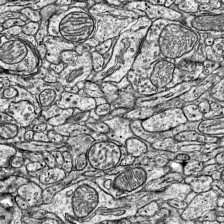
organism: Mouse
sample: Visual Cortex